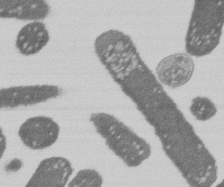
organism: E. coli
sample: Bacterial nucleoid